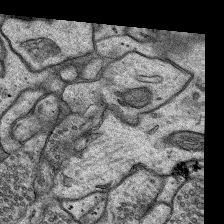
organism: Rat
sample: Hippocampus